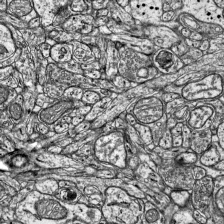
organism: Mouse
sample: Visual Cortex